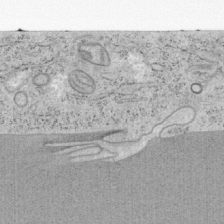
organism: Human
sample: HeLa cells